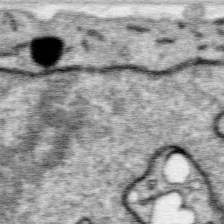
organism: Human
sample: HeLa cells